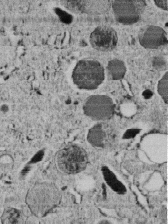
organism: C. elegans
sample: C. elegans embryo early stage